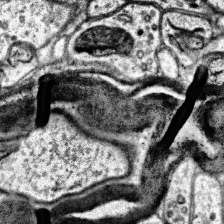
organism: Human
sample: Temporal Lobe